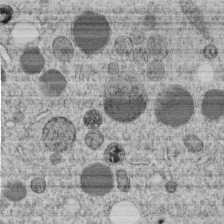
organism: C. elegans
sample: C. elegans embryo early stage